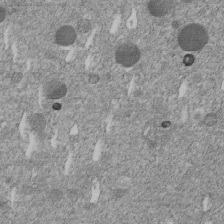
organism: C. elegans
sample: C. elegans embryo early stage